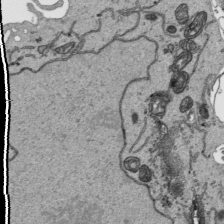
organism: Human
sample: Mitochondria in HCT116 cells